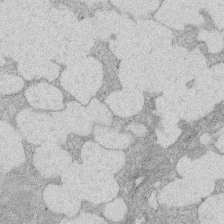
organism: Rat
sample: Salivary granule